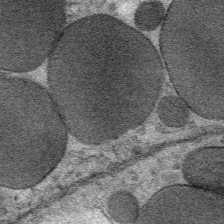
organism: Mouse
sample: Mouse Salivary gland